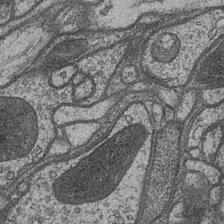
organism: Drosophila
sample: Optic medulla